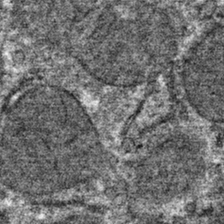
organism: Mouse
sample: Mouse hepatocytes